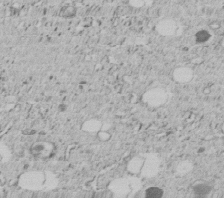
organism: C. elegans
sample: C. elegans embryo early stage